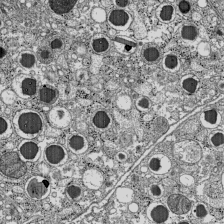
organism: C57BL Mouse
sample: Pancreatic islet